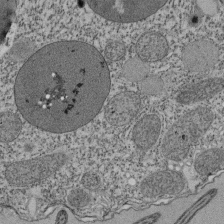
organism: Tetrahymena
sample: Cilia in tetrahymena